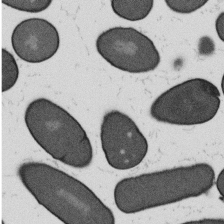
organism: B. subtilis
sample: Bacterial spore